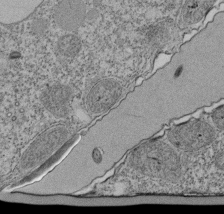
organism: Tetrahymena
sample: Cilia in tetrahymena